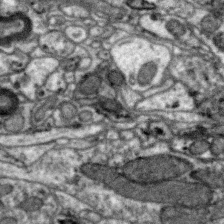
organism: Zebra finch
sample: Brain